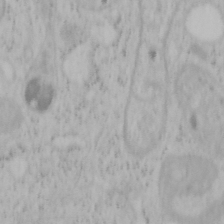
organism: Mouse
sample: OT-I killer T cells with ID8 ovarian cancer cells